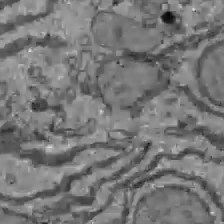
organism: C57BL Mouse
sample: Liver